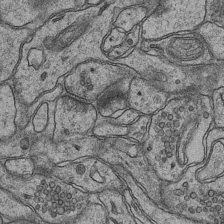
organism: Mouse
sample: CA1 Hippocampus